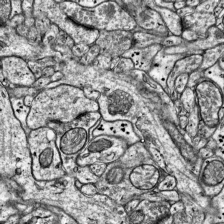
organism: Mouse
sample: Visual Cortex